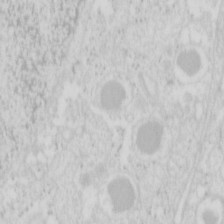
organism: Mouse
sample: Pancreas